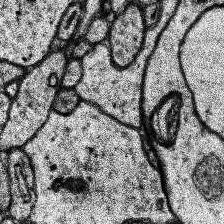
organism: Human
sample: Temporal Lobe